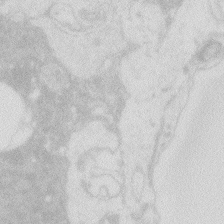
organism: Zebrafish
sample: Macrophage